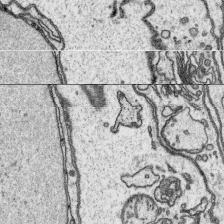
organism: Platynereis dumerilii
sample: Parapodia